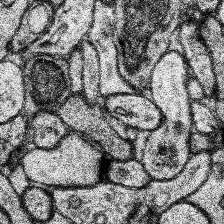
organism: Human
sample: Temporal Lobe